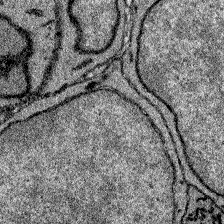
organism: Zebrafish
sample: Larval olfactory bulb